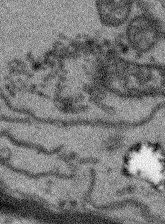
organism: Arabidopsis thaliana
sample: Root tip